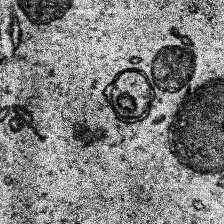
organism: Human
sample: Temporal Lobe